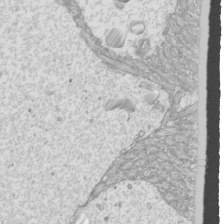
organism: Mouse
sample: Cilia; mouse epididymis